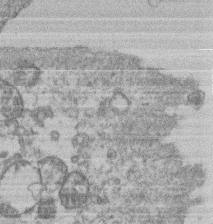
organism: Mouse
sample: T cell stromal cell synapse